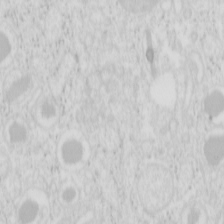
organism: Mouse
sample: Pancreas